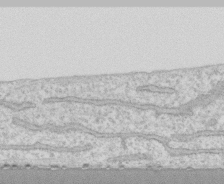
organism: Human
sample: CRL-1474